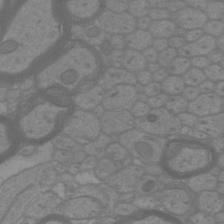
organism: Mouse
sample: Cortical neurons